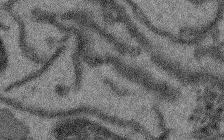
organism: Arabidopsis thaliana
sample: Root tip